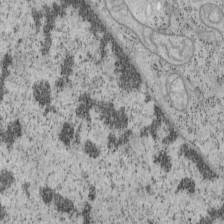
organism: Mouse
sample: OT-I killer T cells with ID8 ovarian cancer cells